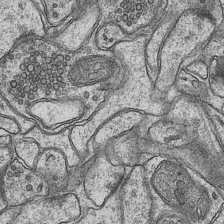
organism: Mouse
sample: CA1 Hippocampus